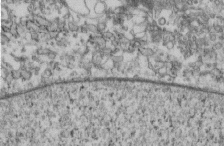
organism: Mouse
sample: Cilia; retinal pigment epithelium